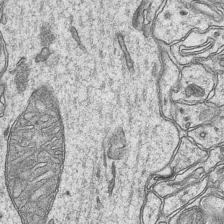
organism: Mouse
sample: CA1 Hippocampus